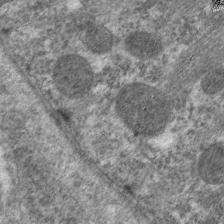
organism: C. elegans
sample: Pharynx